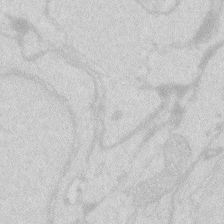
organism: Zebrafish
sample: Macrophage